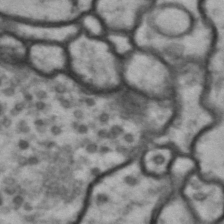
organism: Drosophila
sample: Brain